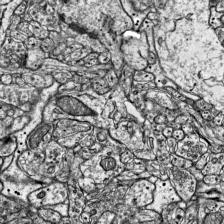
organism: Mouse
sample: Visual Cortex